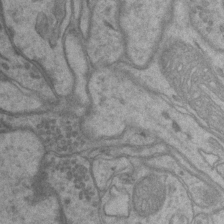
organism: Mouse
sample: CA1 Hippocampus